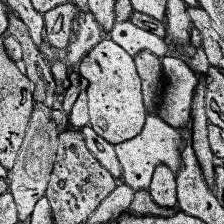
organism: Human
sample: Temporal Lobe